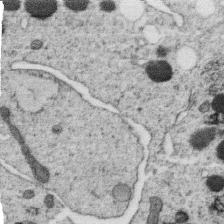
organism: C. elegans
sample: C. elegans oocyte; sperm cells